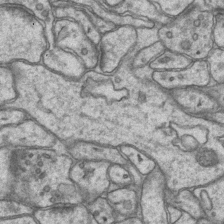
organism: Mouse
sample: CA1 Hippocampus